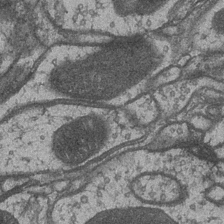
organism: Drosophila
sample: Optic medulla